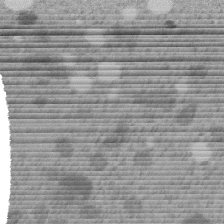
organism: C. elegans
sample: C. elegans embryo early stage